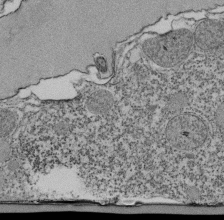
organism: Tetrahymena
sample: Cilia in tetrahymena